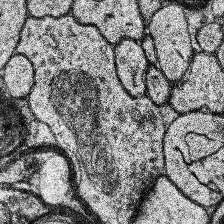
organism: Human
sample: Temporal Lobe